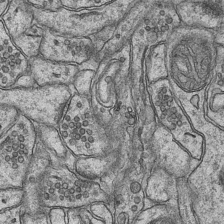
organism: Mouse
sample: CA1 Hippocampus